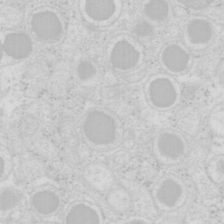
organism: Mouse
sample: Pancreas